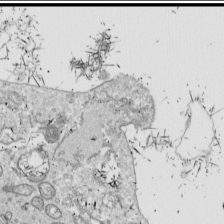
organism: Drosophila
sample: Cell division; meiosis; drosophila spermatocytes